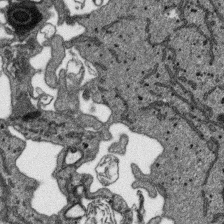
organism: Human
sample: Lung epithelial cells infected with SARS-CoV-2